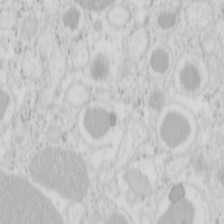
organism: Mouse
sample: Pancreas